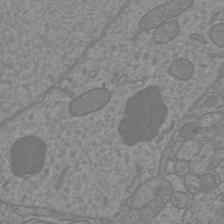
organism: Mouse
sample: Cortical neurons